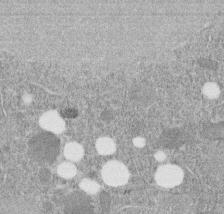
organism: C. elegans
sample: C. elegans embryo early stage